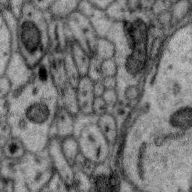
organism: Zebra finch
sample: Brain